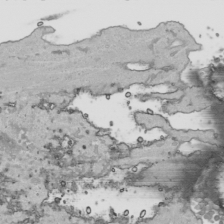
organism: Human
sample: Mitochondria in HCT116 cells